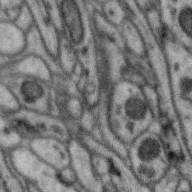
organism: Zebra finch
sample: Brain